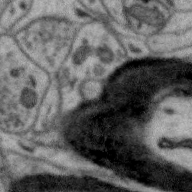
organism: Zebra finch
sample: Brain